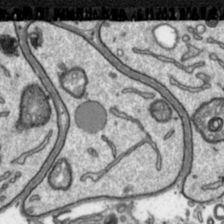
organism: Toxoplasma gondii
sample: Parasites in a vacuole inside a host cell